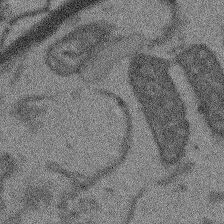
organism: Arabidopsis thaliana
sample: Root tip